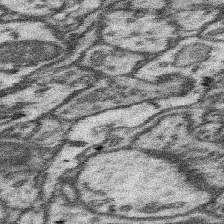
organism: Mouse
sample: Somatosensory cortex neuropil